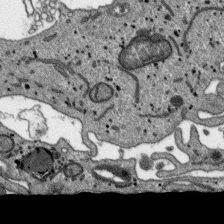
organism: Human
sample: Lung epithelial cells, uninfected (mock) control